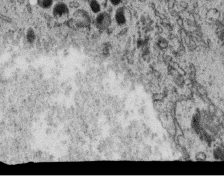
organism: C. elegans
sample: C. elegans oocyte; sperm cells